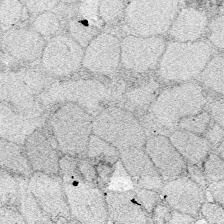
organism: Zebrafish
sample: Whole-Brain